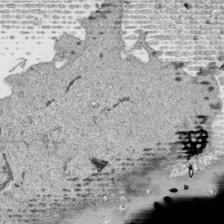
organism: Human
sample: Mitochondria in HCT116 cells